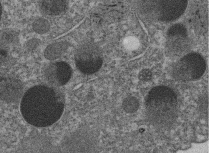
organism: C. elegans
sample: C. elegans embryo early stage